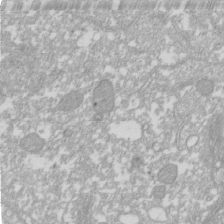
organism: Xenopus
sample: Cilia; centrioles in frog embryo cells